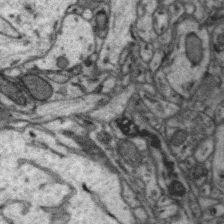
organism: Zebra finch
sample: Brain